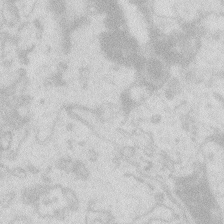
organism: Zebrafish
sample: Macrophage